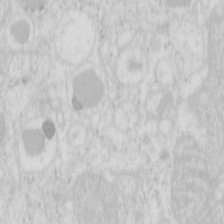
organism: Mouse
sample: Pancreas